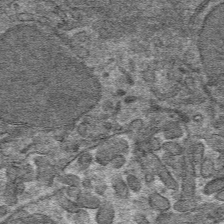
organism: Mouse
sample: Mouse hepatocytes